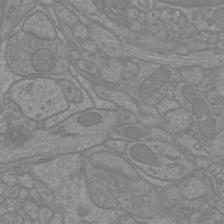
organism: Mouse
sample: Cortical neurons